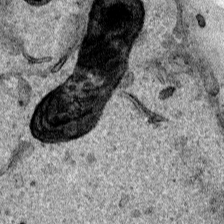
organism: Human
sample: Mitochondria in HCT116 cells